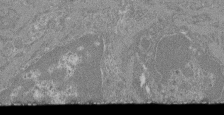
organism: Mouse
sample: Glomerulus